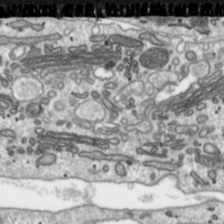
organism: Toxoplasma gondii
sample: Parasites in a vacuole inside a host cell